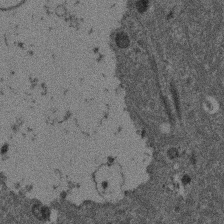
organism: Mouse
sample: Dividing mouse embryo 1 cell stage